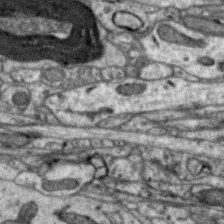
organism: Zebra finch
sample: Brain